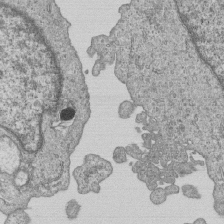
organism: Human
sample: MDA-MB-231 cells